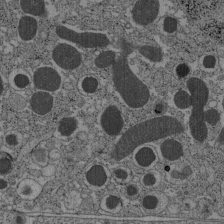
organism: C57BL Mouse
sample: Pancreatic islet